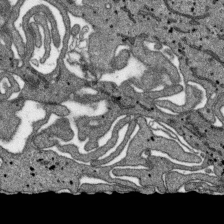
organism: Human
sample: Lung epithelial cells, uninfected (mock) control